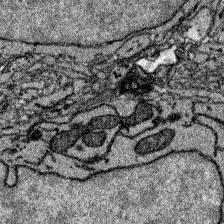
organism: Zebrafish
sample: Larval olfactory bulb